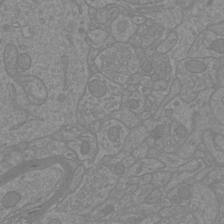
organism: Mouse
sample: Cortical neurons